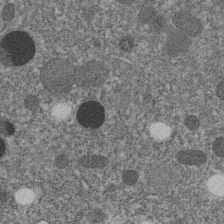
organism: C. elegans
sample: C. elegans embryo early stage